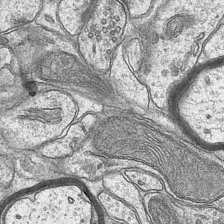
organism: Mouse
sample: CA1 Hippocampus